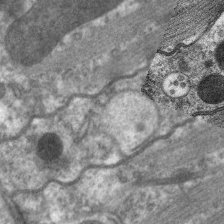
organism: C. elegans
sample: Pharynx